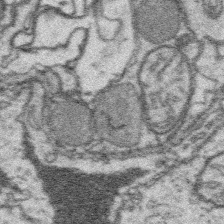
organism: Platynereis dumerilii